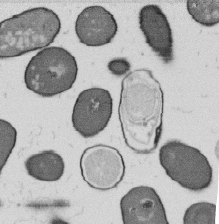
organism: B. subtilis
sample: Bacterial spore